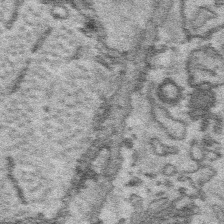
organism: Platynereis dumerilii